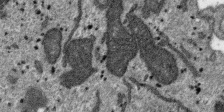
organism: Human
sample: Lung epithelial cells, uninfected (mock) control